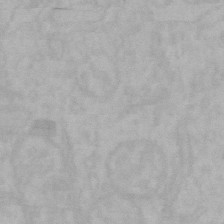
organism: Mouse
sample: Choroid plexus